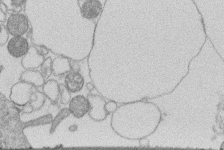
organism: Human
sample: Macrophage cells